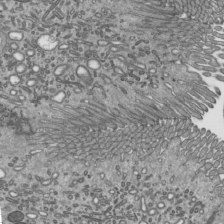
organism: Mouse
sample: Mouse epididymis efferent ductule cilia